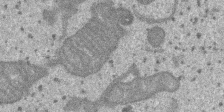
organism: Human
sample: Lung epithelial cells infected with SARS-CoV-2